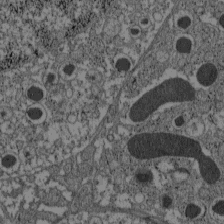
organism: C57BL Mouse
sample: Pancreatic islet